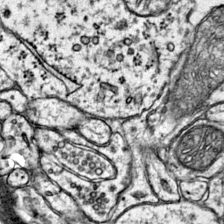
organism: Mouse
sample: Primary visual cortex